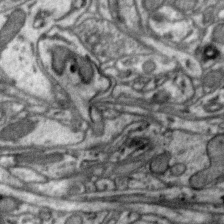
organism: Zebra finch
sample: Brain